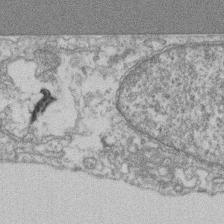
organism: Mouse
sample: T cell stromal cell synapse